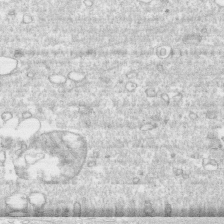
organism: Human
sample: CRL-1474